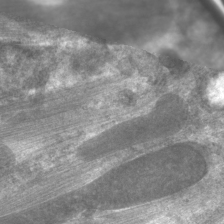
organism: C. elegans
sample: Pharynx